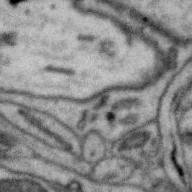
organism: Zebra finch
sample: Brain